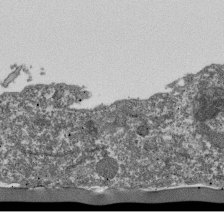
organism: Dictyostelium discoideum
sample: Dictyostelium multivesicular bodies